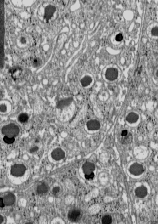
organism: C57BL Mouse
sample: Pancreatic islet